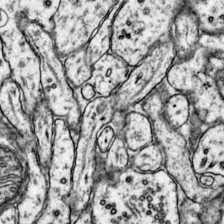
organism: Mouse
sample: Primary visual cortex